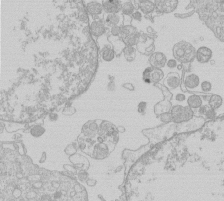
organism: Human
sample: Macrophage cells